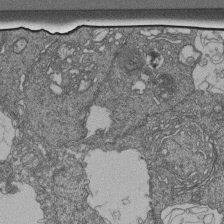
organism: Human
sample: Retinal organoid Rod and Cone cells